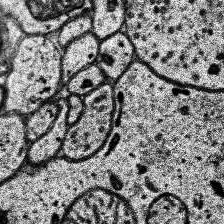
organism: Human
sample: Temporal Lobe